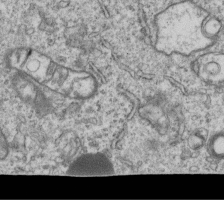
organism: Human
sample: MDA-MB-231 cells